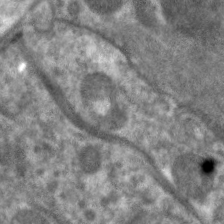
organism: C. elegans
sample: Pharynx